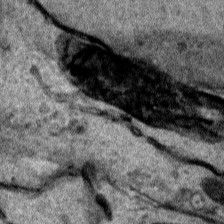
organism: Human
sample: Mitochondria in HCT116 cells